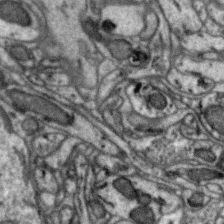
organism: Zebra finch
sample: Brain